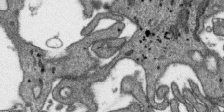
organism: Human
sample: Lung epithelial cells, uninfected (mock) control